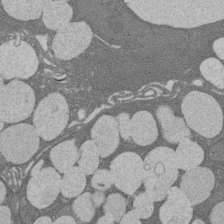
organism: Rat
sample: Salivary granule